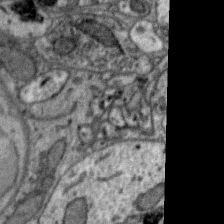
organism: Zebra finch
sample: Brain